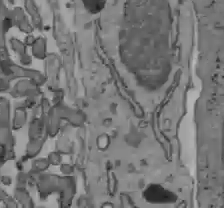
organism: C57BL Mouse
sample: Liver